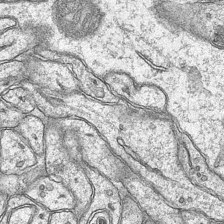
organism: Mouse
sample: CA1 Hippocampus